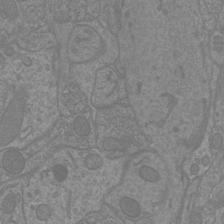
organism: Mouse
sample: Cortical neurons